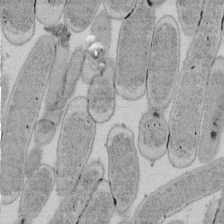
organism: E. coli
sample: Bacterial nucleoid